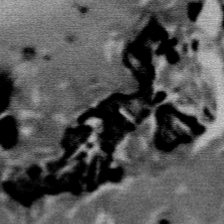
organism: Mouse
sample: Mouse Salivary gland